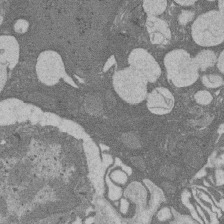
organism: Rat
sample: Salivary granule